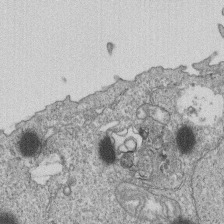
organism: Human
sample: HeLa cell HIV synapse